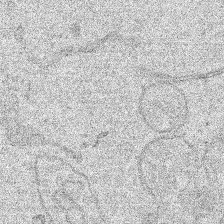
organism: Human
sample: Mitochondria in HCT116 cells